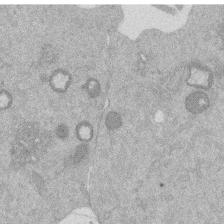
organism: Mouse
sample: Dividing mouse embryo 1 cell stage